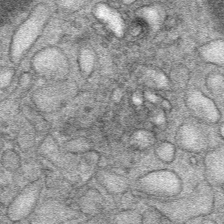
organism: Mouse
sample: Mouse Salivary gland